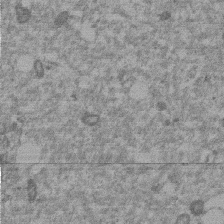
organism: Mouse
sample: Dividing mouse embryo 1 cell stage